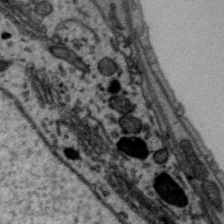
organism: Zebra finch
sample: Brain